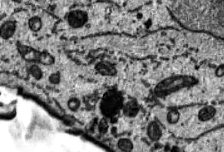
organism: Human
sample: HeLa cells